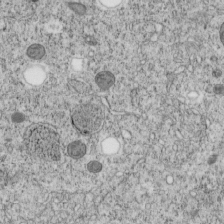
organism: C. elegans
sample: C. elegans embryo early stage